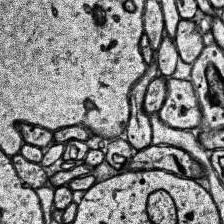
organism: Human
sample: Temporal Lobe